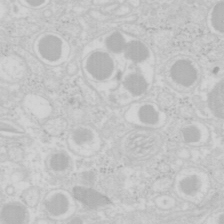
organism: Mouse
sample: Pancreas